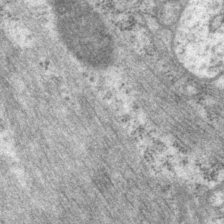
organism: P. pacificus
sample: Pharynx